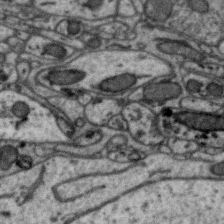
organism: Zebra finch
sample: Brain